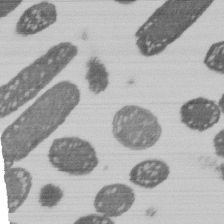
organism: E. coli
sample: Bacterial nucleoid